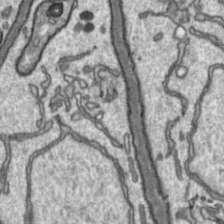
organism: Toxoplasma gondii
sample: Parasites in a vacuole inside a host cell